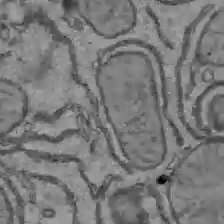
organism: C57BL Mouse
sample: Liver